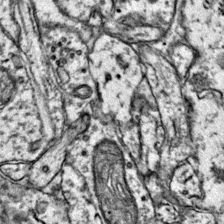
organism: Mouse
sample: Primary visual cortex